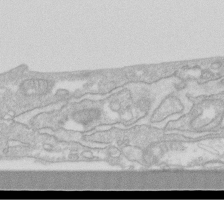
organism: Human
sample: Fibroblast cells